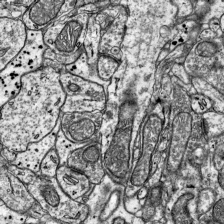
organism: Mouse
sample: Visual Cortex